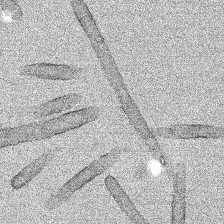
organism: Human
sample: Mitochondria in HCT116 cells